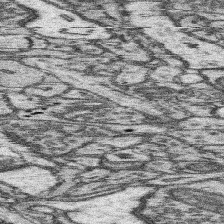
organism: Mouse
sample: Somatosensory cortex neuropil